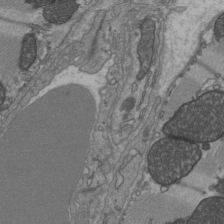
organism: C57BL Mouse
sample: Heart